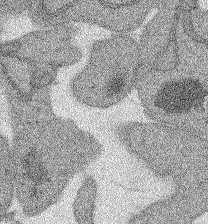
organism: Human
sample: HeLa cells